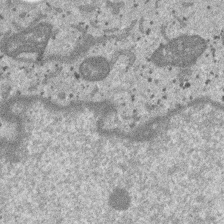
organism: Human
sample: Lung epithelial cells infected with SARS-CoV-2